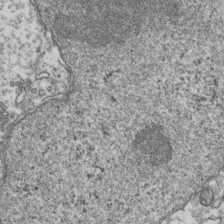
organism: Human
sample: Activated Jurkat CD4+ T cells